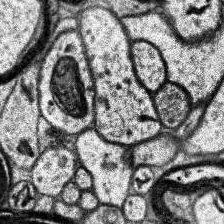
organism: Human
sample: Temporal Lobe